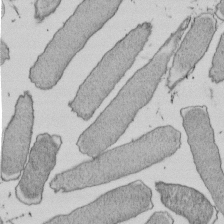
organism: E. coli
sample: Bacterial nucleoid